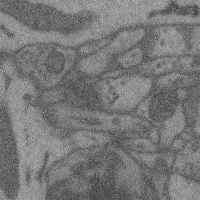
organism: Mouse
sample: Cerebral cortex